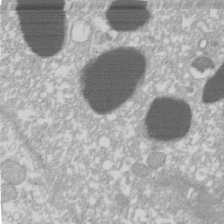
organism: Xenopus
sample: Cilia; centrioles in frog embryo cells